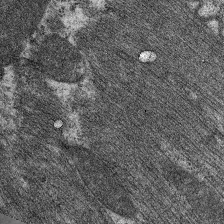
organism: C. elegans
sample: Pharynx